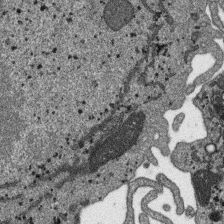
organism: Human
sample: Lung epithelial cells infected with SARS-CoV-2